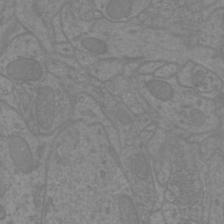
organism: Mouse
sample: Cortical neurons